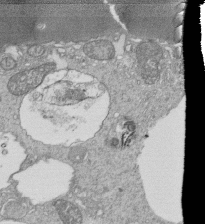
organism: Tetrahymena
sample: Cilia in tetrahymena